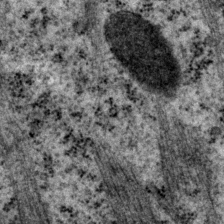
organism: P. pacificus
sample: Pharynx